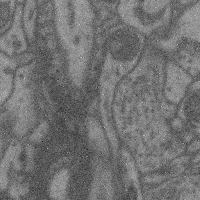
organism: Mouse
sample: Cerebral cortex